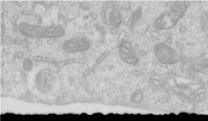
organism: Human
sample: Centriole in RPE cells